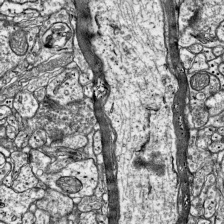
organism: Mouse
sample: Visual Cortex